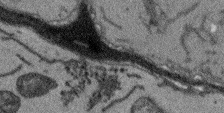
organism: Arabidopsis thaliana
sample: Root tip